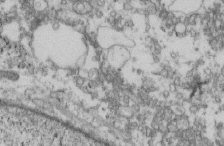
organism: Mouse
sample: Cilia; retinal pigment epithelium